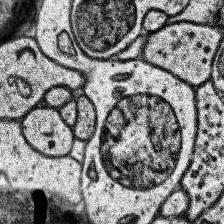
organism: Human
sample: Temporal Lobe